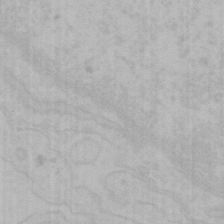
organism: Mouse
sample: Choroid plexus